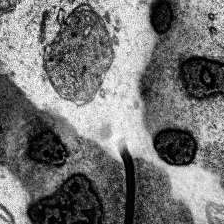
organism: Human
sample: Temporal Lobe